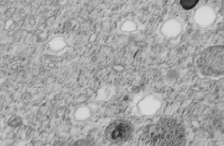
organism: C. elegans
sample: C. elegans embryo early stage